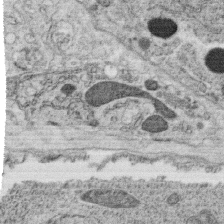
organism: C. elegans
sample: C. elegans oocyte; sperm cells